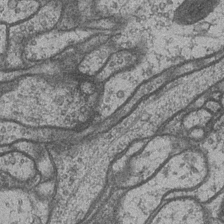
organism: Drosophila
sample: Optic medulla